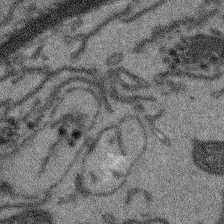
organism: Arabidopsis thaliana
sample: Root tip